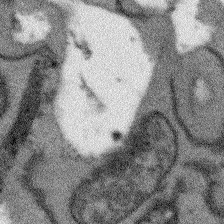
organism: Arabidopsis thaliana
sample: Root tip